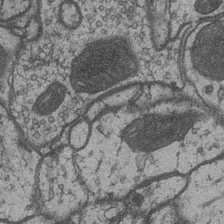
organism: Drosophila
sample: Optic medulla